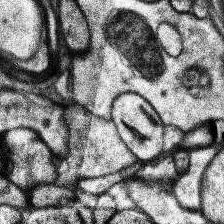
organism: Human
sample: Temporal Lobe